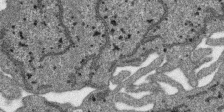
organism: Human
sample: Lung epithelial cells infected with SARS-CoV-2